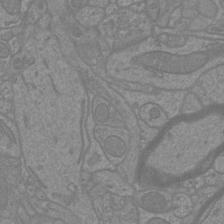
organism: Mouse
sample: Cortical neurons